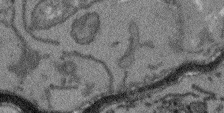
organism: Arabidopsis thaliana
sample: Root tip